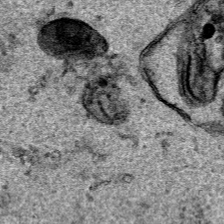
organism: Human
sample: Mitochondria in HCT116 cells